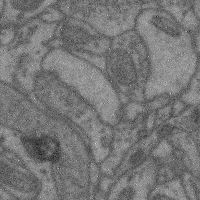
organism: Mouse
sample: Cerebral cortex